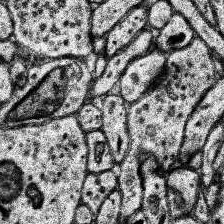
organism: Human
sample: Temporal Lobe